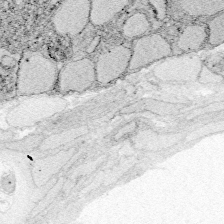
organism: Zebrafish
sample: Whole-Brain